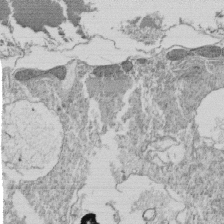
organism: Tetrahymena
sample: Cilia in tetrahymena